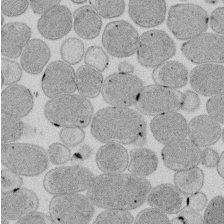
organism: E. coli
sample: Bacterial nucleoid